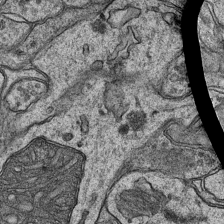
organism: Mouse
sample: CA1 Hippocampus